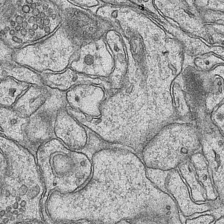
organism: Mouse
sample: CA1 Hippocampus